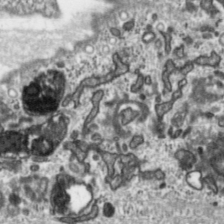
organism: Toxoplasma gondii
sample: Parasites in a vacuole inside a host cell